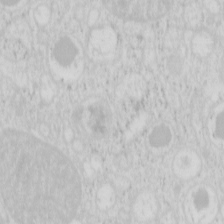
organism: Mouse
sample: Pancreas